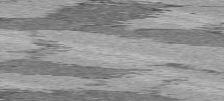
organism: C57BL Mouse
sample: Heart